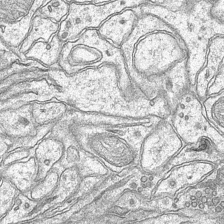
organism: Mouse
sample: CA1 Hippocampus